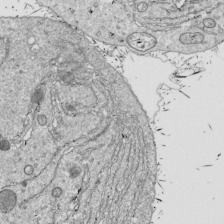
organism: Drosophila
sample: Cell division; meiosis; drosophila spermatocytes